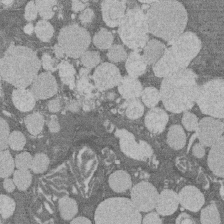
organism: Rat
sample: Salivary granule